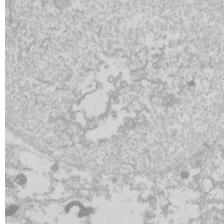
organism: Drosophila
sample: Cell division; meiosis; drosophila spermatocytes